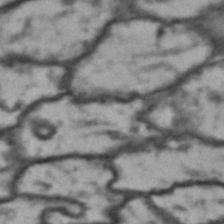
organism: Drosophila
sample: Brain